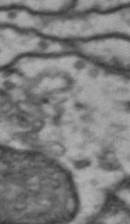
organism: Drosophila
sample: Brain